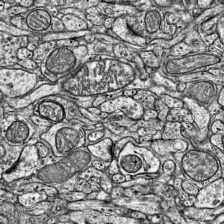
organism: Mouse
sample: Visual Cortex